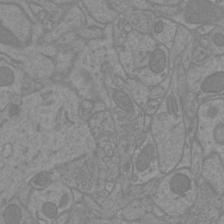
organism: Mouse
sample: Cortical neurons